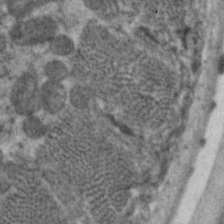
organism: C. elegans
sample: Pharynx